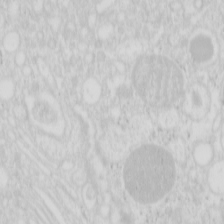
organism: Mouse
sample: Pancreas